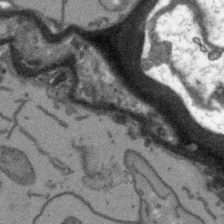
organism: Arabidopsis thaliana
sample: Root tip